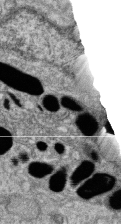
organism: Zebrafish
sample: Cilia; retinal pigment epithelium